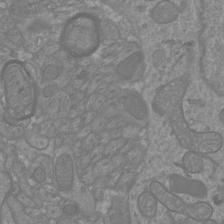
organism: Mouse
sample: Cortical neurons